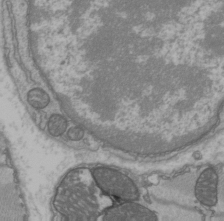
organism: C57BL Mouse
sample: Heart